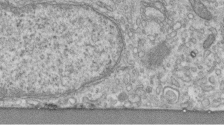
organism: Human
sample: Centriole in fibroblast cells